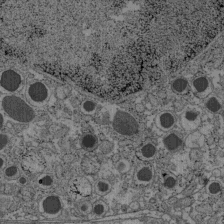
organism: C57BL Mouse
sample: Pancreatic islet